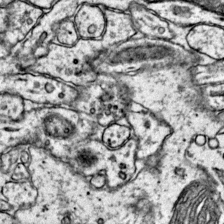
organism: Mouse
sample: Primary visual cortex